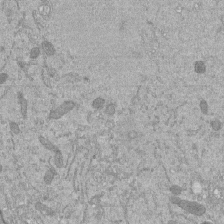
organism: Mouse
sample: ED-1 cell nuclei; centrioles